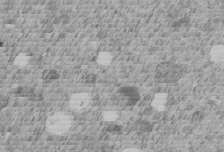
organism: C. elegans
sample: C. elegans embryo early stage